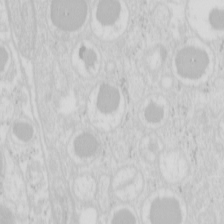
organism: Mouse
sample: Pancreas